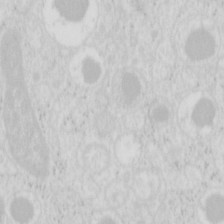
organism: Mouse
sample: Pancreas